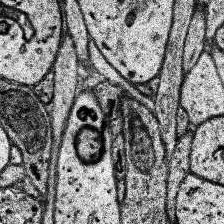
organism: Human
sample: Temporal Lobe